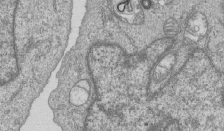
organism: Human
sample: MDA-MB-231 cells